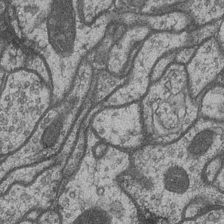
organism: Drosophila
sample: Optic medulla